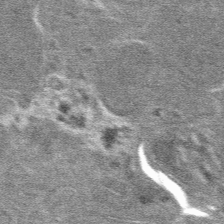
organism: Mouse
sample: Mouse hepatocytes